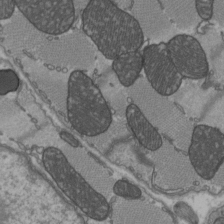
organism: C57BL Mouse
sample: Heart